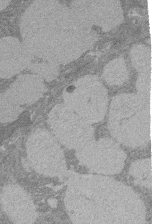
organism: Rat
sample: Salivary granule